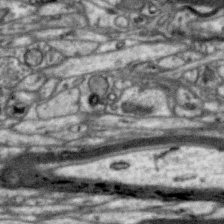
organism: Zebra finch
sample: Brain